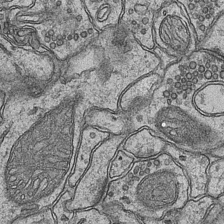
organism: Mouse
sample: CA1 Hippocampus